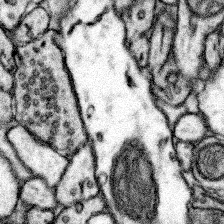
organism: Mouse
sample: Somatosensory cortex neuropil